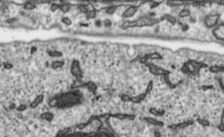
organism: Toxoplasma gondii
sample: Parasites in a vacuole inside a host cell